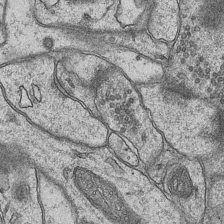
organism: Mouse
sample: CA1 Hippocampus